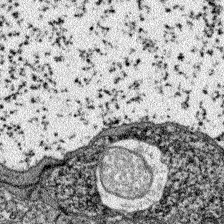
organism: Zebrafish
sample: Larval olfactory bulb